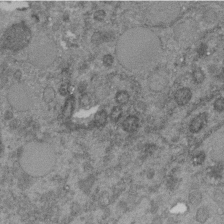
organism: C. elegans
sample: C. elegans embryo early stage